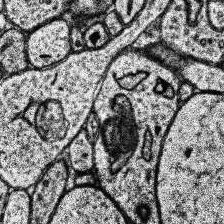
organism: Human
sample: Temporal Lobe